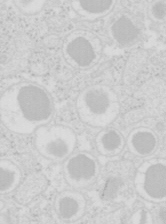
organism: Mouse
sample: Pancreas